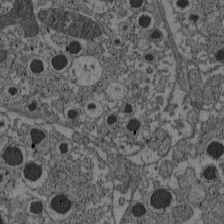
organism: C57BL Mouse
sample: Pancreatic islet